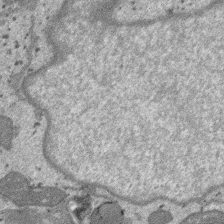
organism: Human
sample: Lung epithelial cells infected with SARS-CoV-2